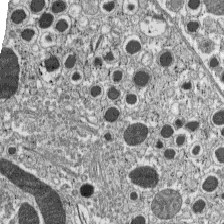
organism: C57BL Mouse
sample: Pancreatic islet